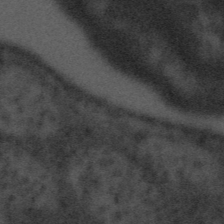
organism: Tuwongella immobilis